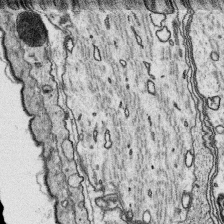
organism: Platynereis dumerilii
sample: Parapodia